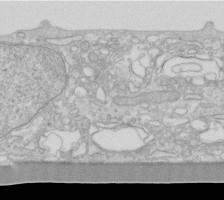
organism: Human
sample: Fibroblast cells